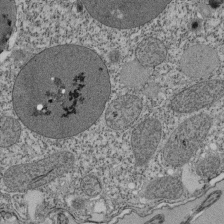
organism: Tetrahymena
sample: Cilia in tetrahymena